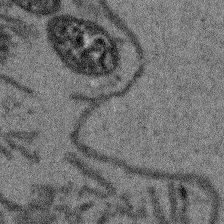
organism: Arabidopsis thaliana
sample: Root tip